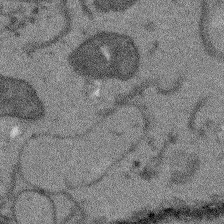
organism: Arabidopsis thaliana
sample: Root tip